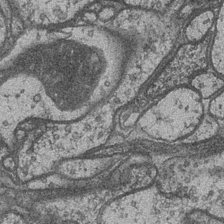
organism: Drosophila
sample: Optic medulla